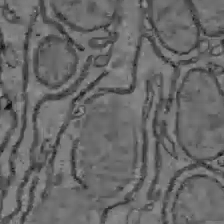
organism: C57BL Mouse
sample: Liver